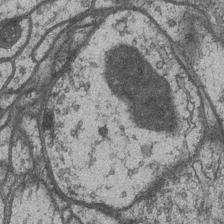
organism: Drosophila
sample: Optic medulla